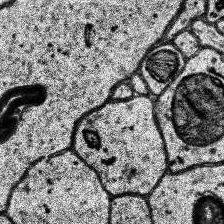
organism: Human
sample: Temporal Lobe